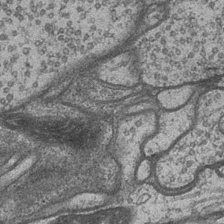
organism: Drosophila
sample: Optic medulla